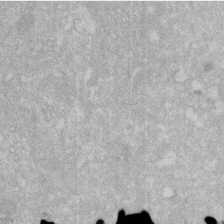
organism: Human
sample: HIV infected U937 cells